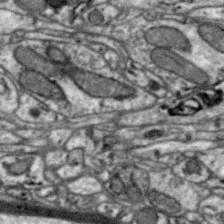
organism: Zebra finch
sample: Brain